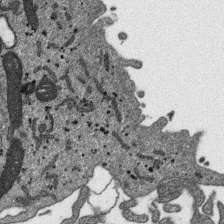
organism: Human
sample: Lung epithelial cells infected with SARS-CoV-2